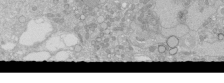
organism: Human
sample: Caco-2 cells